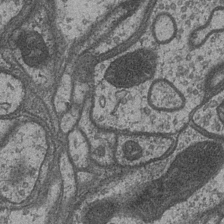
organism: Drosophila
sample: Optic medulla